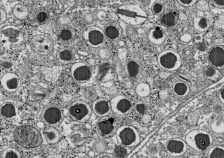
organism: C57BL Mouse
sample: Pancreatic islet